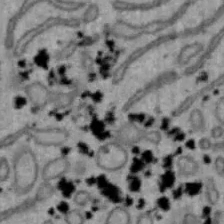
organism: Mouse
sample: Liver